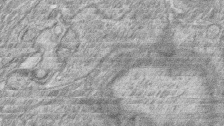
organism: Zebrafish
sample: synaptic ribbons in rod cells and cone cells